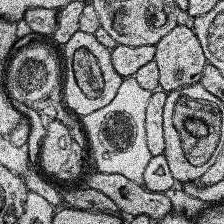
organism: Human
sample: Temporal Lobe